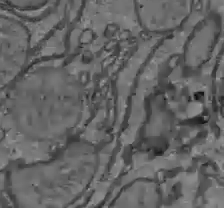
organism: C57BL Mouse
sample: Liver